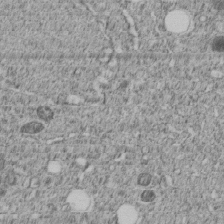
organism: C. elegans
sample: C. elegans embryo early stage